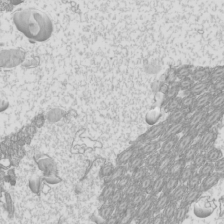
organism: Mouse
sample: Cilia; mouse epididymis